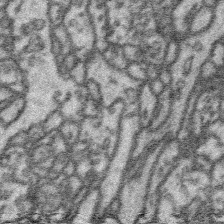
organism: Platynereis dumerilii